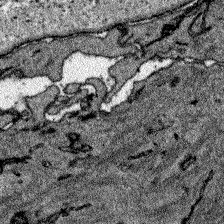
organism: Zebrafish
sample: Larval olfactory bulb